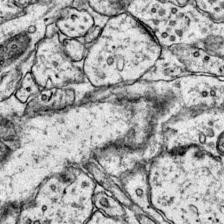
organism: Mouse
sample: Primary visual cortex